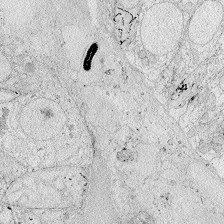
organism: Zebrafish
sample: Whole-Brain